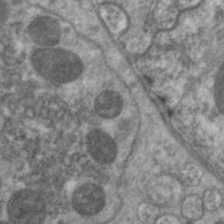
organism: C. elegans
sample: Pharynx